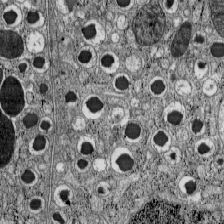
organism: C57BL Mouse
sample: Pancreatic islet